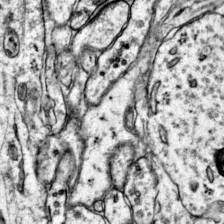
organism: Mouse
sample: Primary visual cortex